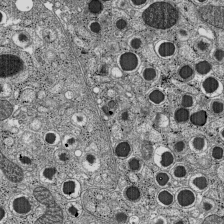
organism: C57BL Mouse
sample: Pancreatic islet